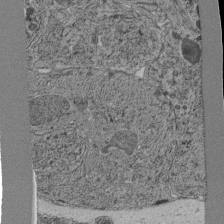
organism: C. elegans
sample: C. elegans pharynx